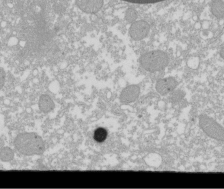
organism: Xenopus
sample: Cilia; centrioles in frog embryo cells